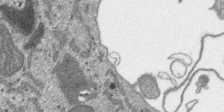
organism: Human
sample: Lung epithelial cells infected with SARS-CoV-2